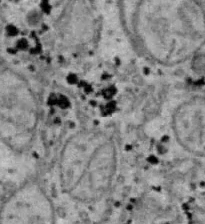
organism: Mouse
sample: Liver from an obese (ob/ob) mouse